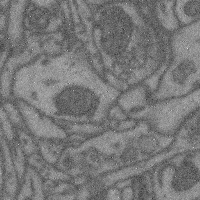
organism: Mouse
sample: Cerebral cortex